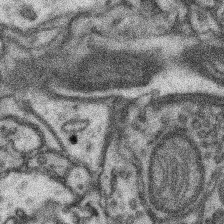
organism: Mouse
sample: Somatosensory cortex neuropil